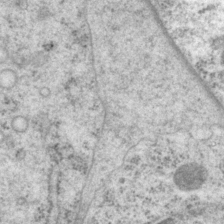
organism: P. pacificus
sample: Pharynx